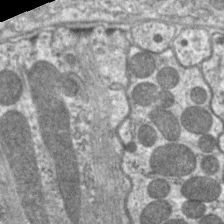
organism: C. elegans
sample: Pharynx